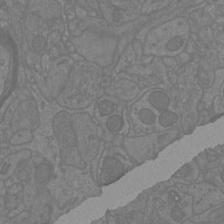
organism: Mouse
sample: Cortical neurons